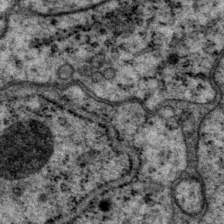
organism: P. pacificus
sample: Pharynx